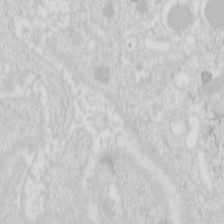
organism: Mouse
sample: Pancreas